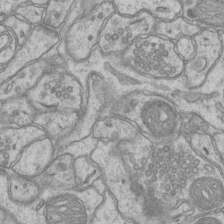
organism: Mouse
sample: CA1 Hippocampus